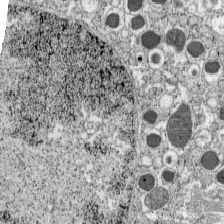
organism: C57BL Mouse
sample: Pancreatic islet